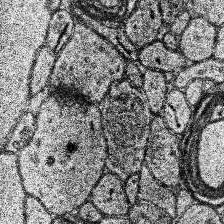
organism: Human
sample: Temporal Lobe